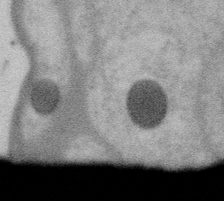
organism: Gemmata obscuriglobus